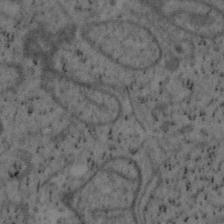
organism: Human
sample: HeLa cells